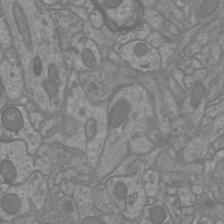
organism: Mouse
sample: Cortical neurons